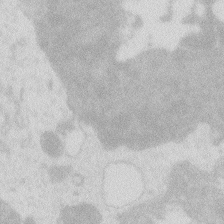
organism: Zebrafish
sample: Macrophage